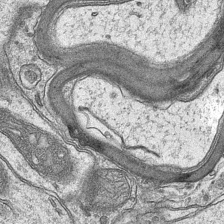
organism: Mouse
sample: CA1 Hippocampus